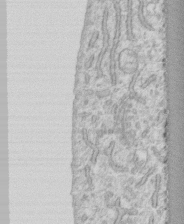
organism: Human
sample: CRL-1474